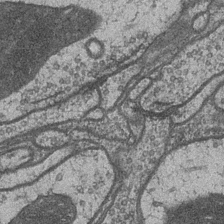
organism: Drosophila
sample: Optic medulla